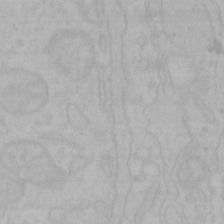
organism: Mouse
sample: Choroid plexus